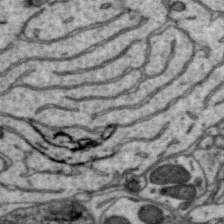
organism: Zebra finch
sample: Brain